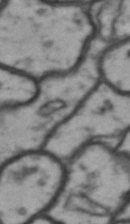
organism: Drosophila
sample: Brain